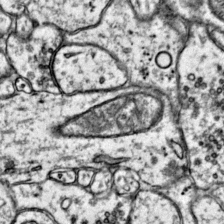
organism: Mouse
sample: Primary visual cortex